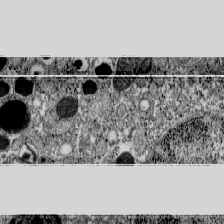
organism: C57BL Mouse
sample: Pancreatic islet